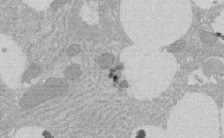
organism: Rat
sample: Salivary granule